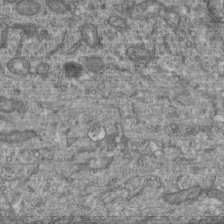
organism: Human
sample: Retinal organoid Rod and Cone cells